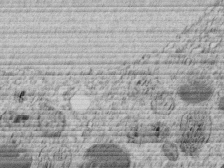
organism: C. elegans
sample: C. elegans embryo early stage